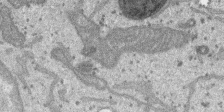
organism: Human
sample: Lung epithelial cells infected with SARS-CoV-2